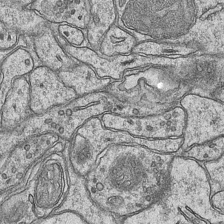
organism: Mouse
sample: CA1 Hippocampus